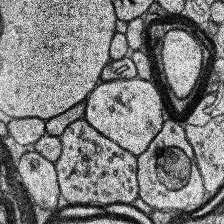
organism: Human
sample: Temporal Lobe